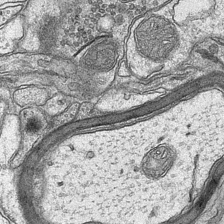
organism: Mouse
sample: CA1 Hippocampus